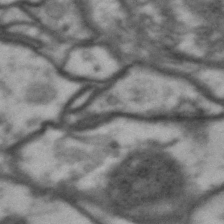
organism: Drosophila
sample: Brain